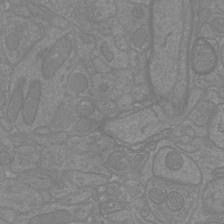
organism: Mouse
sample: Cortical neurons